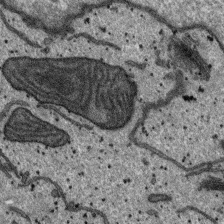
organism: Human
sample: Lung epithelial cells, uninfected (mock) control